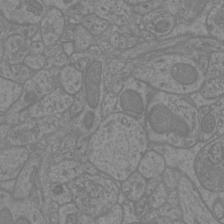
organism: Mouse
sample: Cortical neurons